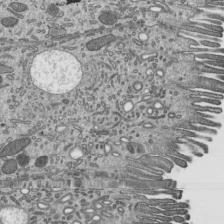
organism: Mouse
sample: Mouse epididymis efferent ductule cilia